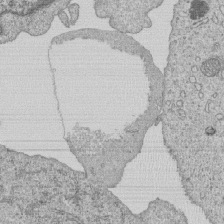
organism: Human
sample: MDA-MB-231 cells